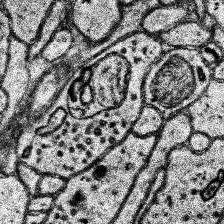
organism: Human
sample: Temporal Lobe